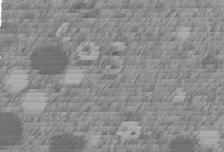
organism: C. elegans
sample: C. elegans embryo early stage